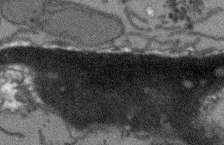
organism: Arabidopsis thaliana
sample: Root tip